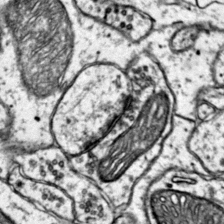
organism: Mouse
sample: Primary visual cortex